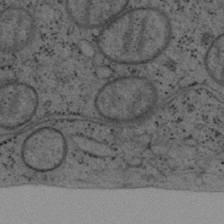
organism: Human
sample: HeLa cells